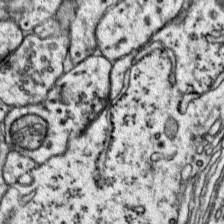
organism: Mouse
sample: Primary visual cortex